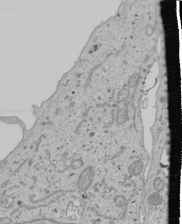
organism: Human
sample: Mitochondria in U2OS cells